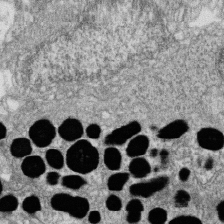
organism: Zebrafish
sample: Cilia; retinal pigment epithelium